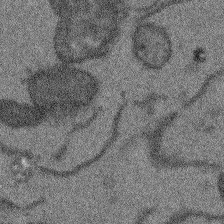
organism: Arabidopsis thaliana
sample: Root tip